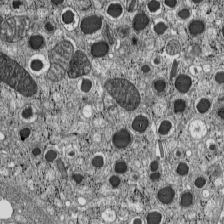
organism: C57BL Mouse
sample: Pancreatic islet